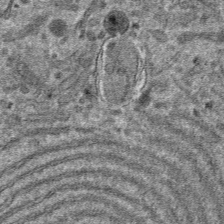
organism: Mouse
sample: Mouse hepatocytes